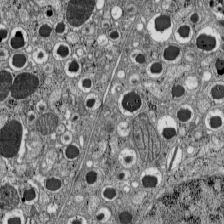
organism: C57BL Mouse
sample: Pancreatic islet